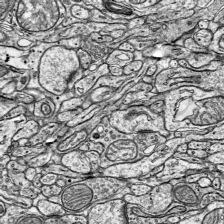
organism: Mouse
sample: Visual Cortex